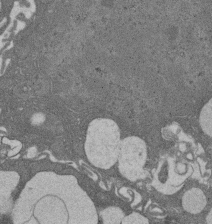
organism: Rat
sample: Salivary granule